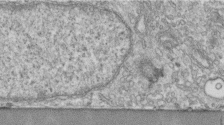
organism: Human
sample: Centriole in fibroblast cells